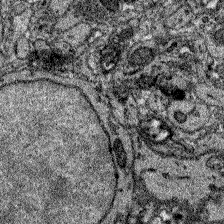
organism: Zebrafish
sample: Larval olfactory bulb